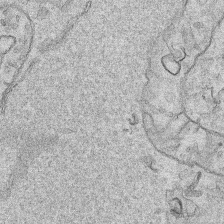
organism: Human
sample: Mitochondria in HCT116 cells